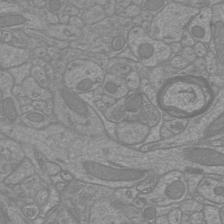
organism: Mouse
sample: Cortical neurons